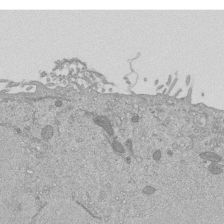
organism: Mouse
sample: ED-1 cell nuclei; centrioles